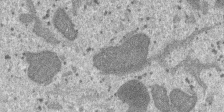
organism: Human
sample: Lung epithelial cells infected with SARS-CoV-2